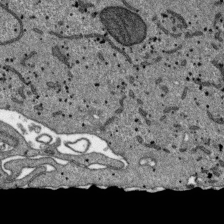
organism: Human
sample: Lung epithelial cells, uninfected (mock) control